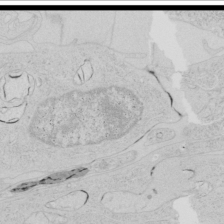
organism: Human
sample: Mitochondria in HCT116 cells